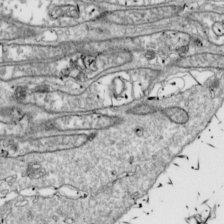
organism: Drosophila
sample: Cell division; meiosis; drosophila spermatocytes